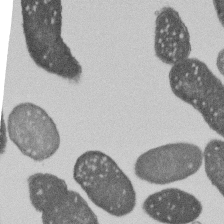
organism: E. coli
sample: Bacterial nucleoid